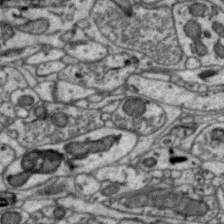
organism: Zebra finch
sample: Brain